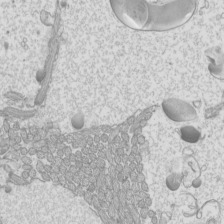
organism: Mouse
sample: Cilia; mouse epididymis